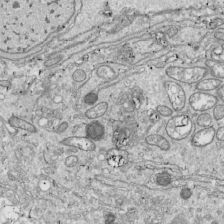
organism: Drosophila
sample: Cell division; meiosis; drosophila spermatocytes